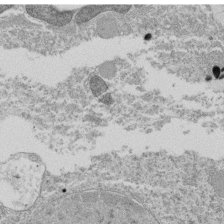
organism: Tetrahymena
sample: Cilia in tetrahymena